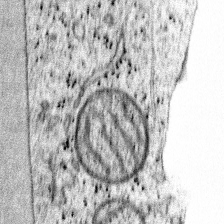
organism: Human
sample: HeLa cells